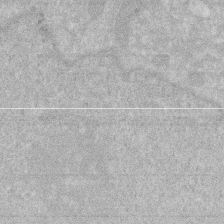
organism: Human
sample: HIV infected U937 cells